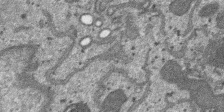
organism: Human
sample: Lung epithelial cells infected with SARS-CoV-2